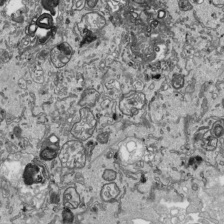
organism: Human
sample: Mitochondria in HCT116 cells